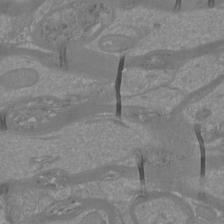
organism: Mouse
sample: Cortical neurons